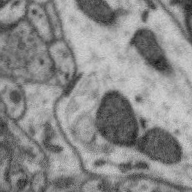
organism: Zebra finch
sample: Brain